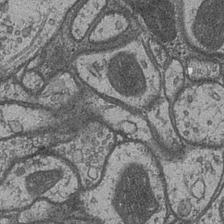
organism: Drosophila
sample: Optic medulla